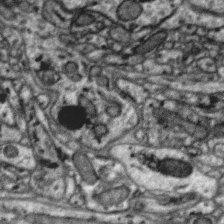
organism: Zebra finch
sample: Brain